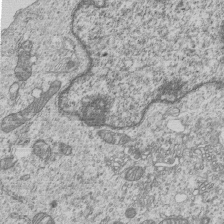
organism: Human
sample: MDA-MB-231 cells